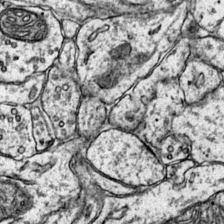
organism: Mouse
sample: Primary visual cortex